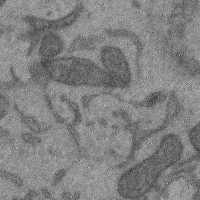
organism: Mouse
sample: Cerebral cortex